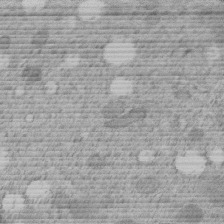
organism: C. elegans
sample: C. elegans embryo early stage